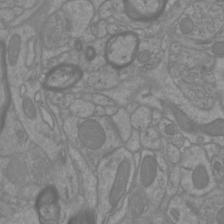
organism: Mouse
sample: Cortical neurons